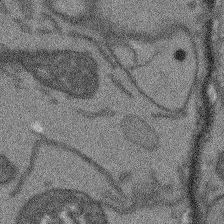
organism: Arabidopsis thaliana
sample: Root tip